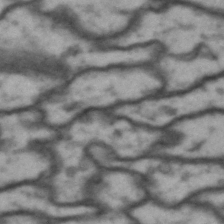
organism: Drosophila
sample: Brain